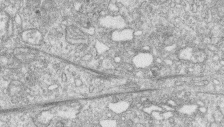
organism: Human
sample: HeLa cell HIV synapse